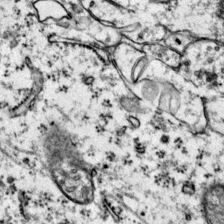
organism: Mouse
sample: Primary visual cortex